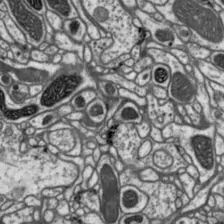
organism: Drosophila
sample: Protocerebral bridge